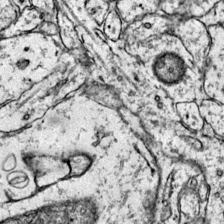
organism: Mouse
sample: Primary visual cortex